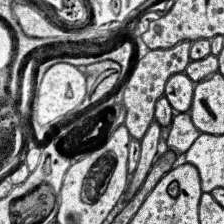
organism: Human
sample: Temporal Lobe